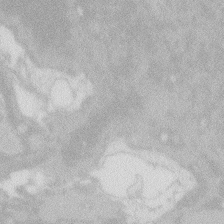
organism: Zebrafish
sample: Macrophage